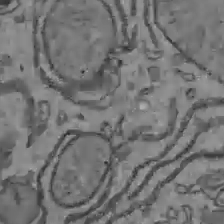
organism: C57BL Mouse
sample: Liver